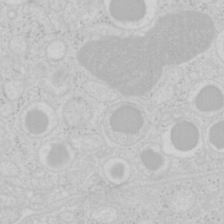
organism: Mouse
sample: Pancreas